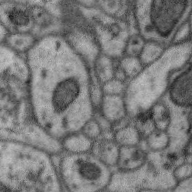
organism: Zebra finch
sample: Brain